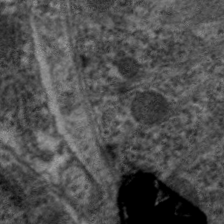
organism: C. elegans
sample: Pharynx